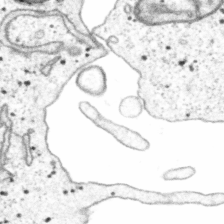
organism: Human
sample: HeLa cells